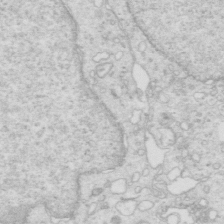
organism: Mouse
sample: Multiciliated cells